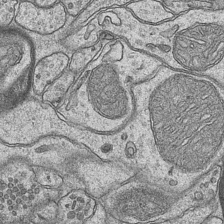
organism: Mouse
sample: CA1 Hippocampus